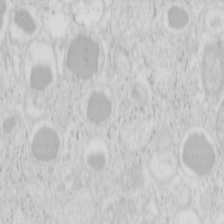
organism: Mouse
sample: Pancreas